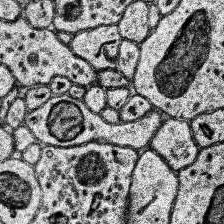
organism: Human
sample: Temporal Lobe